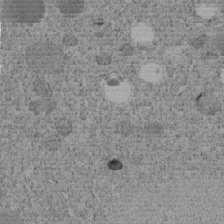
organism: C. elegans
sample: C. elegans embryo early stage